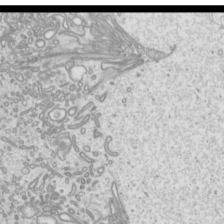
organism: Mouse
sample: Cilia; mouse epididymis